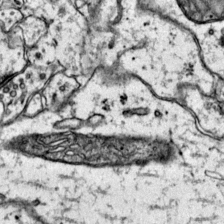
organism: Mouse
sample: Primary visual cortex